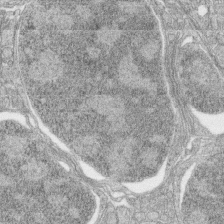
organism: Zebrafish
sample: synaptic ribbons in rod cells and cone cells